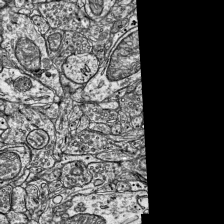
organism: Mouse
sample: Visual Cortex